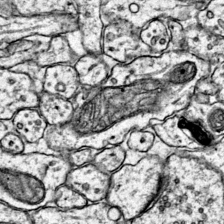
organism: Mouse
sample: Primary visual cortex